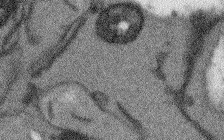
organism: Arabidopsis thaliana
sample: Root tip